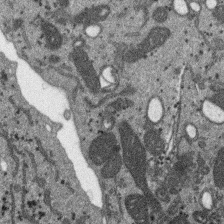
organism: Human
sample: Lung epithelial cells infected with SARS-CoV-2